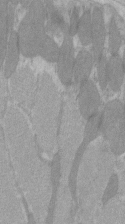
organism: C57BL Mouse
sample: Tibialis anterior muscle cell